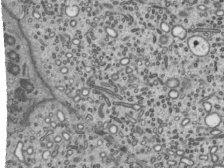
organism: Mouse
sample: Mouse epididymis efferent ductule cilia